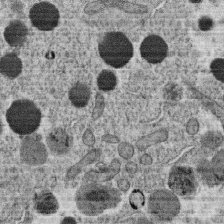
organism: C. elegans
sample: C. elegans oocyte; sperm cells